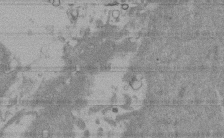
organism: Mouse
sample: ED-1 cell nuclei; centrioles